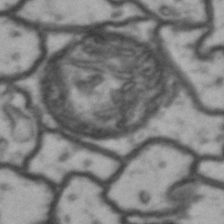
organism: Drosophila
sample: Brain